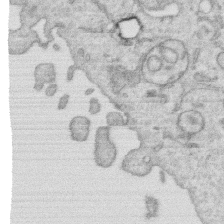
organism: Human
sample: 1205lu cells